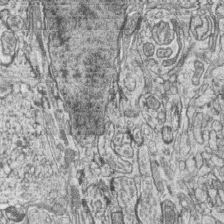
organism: Zebrafish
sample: synaptic ribbons in rod cells and cone cells